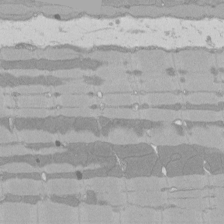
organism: Rat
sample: Left ventricle